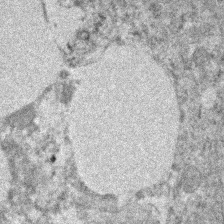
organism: Human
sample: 1205lu cells